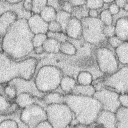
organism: Rabbit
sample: Retina